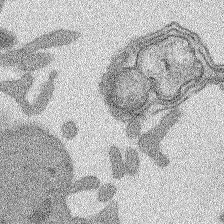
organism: Human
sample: HeLa cells